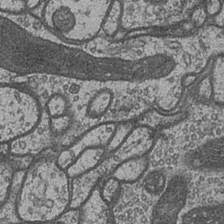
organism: Drosophila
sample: Optic medulla